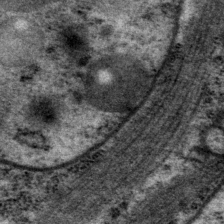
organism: P. pacificus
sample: Pharynx